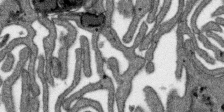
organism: Human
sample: Lung epithelial cells, uninfected (mock) control